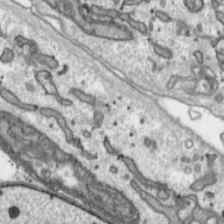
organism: Toxoplasma gondii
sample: Parasites in a vacuole inside a host cell